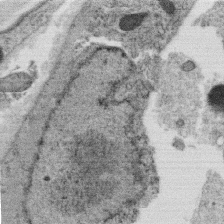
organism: C. elegans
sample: C. elegans oocyte; sperm cells